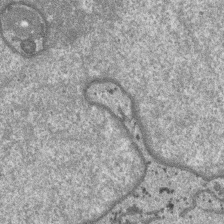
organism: Human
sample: Lung epithelial cells infected with SARS-CoV-2